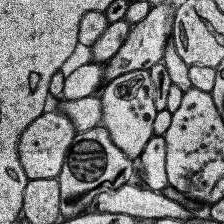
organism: Human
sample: Temporal Lobe